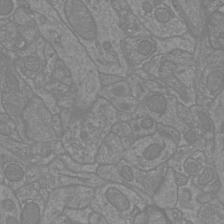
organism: Mouse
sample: Cortical neurons